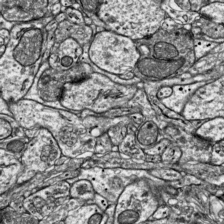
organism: Mouse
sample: Visual Cortex